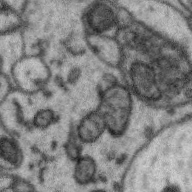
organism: Zebra finch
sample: Brain